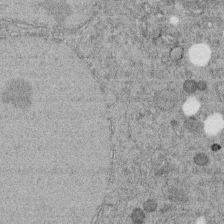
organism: C. elegans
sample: C. elegans embryo early stage